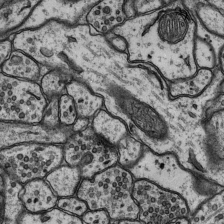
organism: Rat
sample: Hippocampus